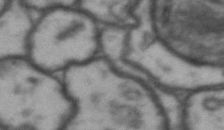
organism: Drosophila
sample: Brain